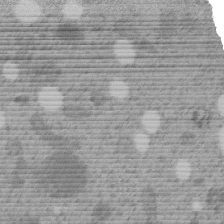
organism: C. elegans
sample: C. elegans embryo early stage